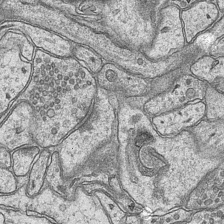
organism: Mouse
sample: CA1 Hippocampus